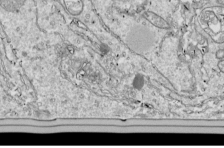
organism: Drosophila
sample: Cell division; meiosis; drosophila spermatocytes